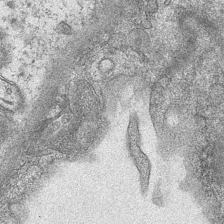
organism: Mouse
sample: CA1 Hippocampus